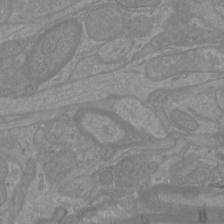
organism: Mouse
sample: Cortical neurons